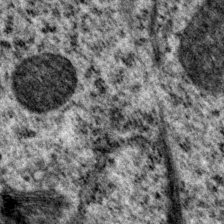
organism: P. pacificus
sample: Pharynx